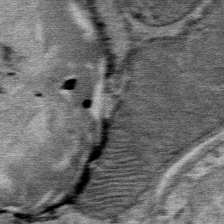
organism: Mouse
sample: Mouse Salivary gland